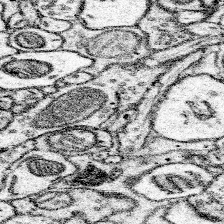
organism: Mouse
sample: Somatosensory cortex neuropil